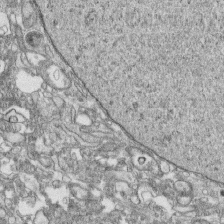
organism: Human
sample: CRL-1474